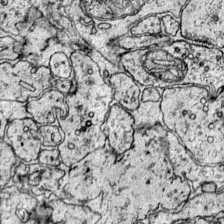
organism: Mouse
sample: Primary visual cortex